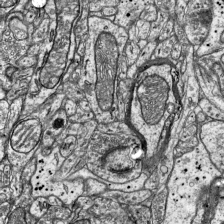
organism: Mouse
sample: Visual Cortex